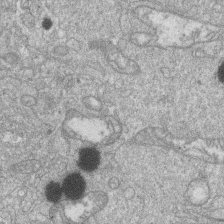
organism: Human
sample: HeLa cell HIV synapse